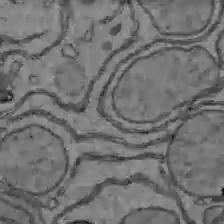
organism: C57BL Mouse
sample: Liver